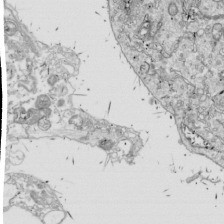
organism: Drosophila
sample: Cell division; meiosis; drosophila spermatocytes